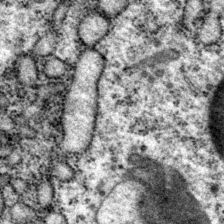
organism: P. pacificus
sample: Pharynx